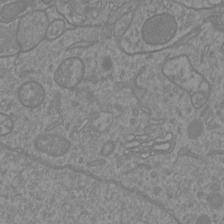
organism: Mouse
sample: Cortical neurons